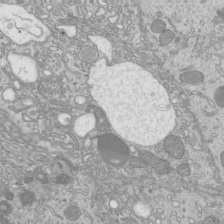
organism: Mouse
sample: Cilia; mouse epididymis